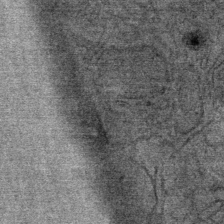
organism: Mouse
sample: Mouse Salivary gland